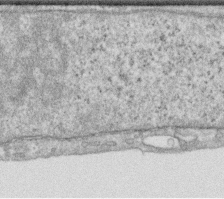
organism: Human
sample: Centriole in RPE cells